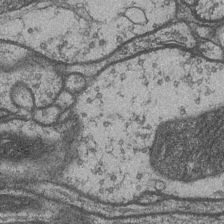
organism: Drosophila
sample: Optic medulla